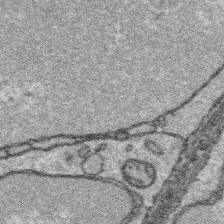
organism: Platynereis dumerilii